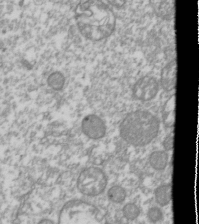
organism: Drosophila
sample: Cell division; meiosis; drosophila spermatocytes